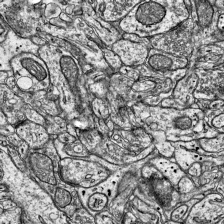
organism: Mouse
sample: Visual Cortex